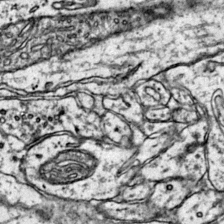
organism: Mouse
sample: Primary visual cortex